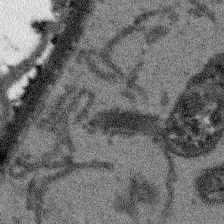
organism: Arabidopsis thaliana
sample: Root tip